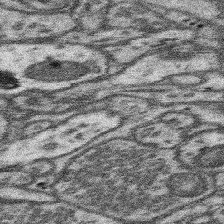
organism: Mouse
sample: Somatosensory cortex neuropil